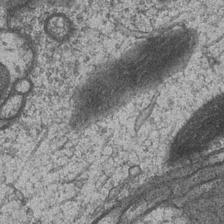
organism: Drosophila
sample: Optic medulla